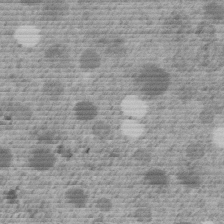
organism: C. elegans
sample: C. elegans embryo early stage